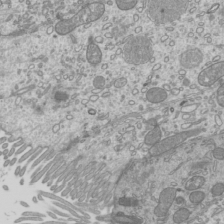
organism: Mouse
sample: Cilia; mouse epididymis